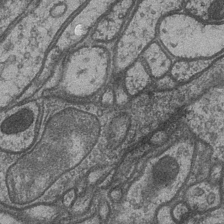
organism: Drosophila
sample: Optic medulla